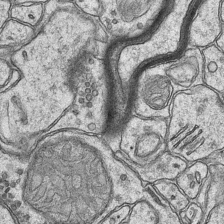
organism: Mouse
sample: CA1 Hippocampus